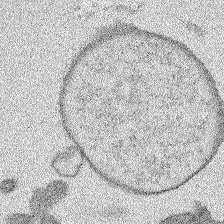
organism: Human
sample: HeLa cells